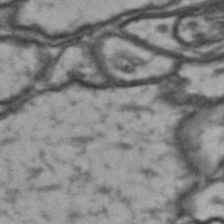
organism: Drosophila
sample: Brain